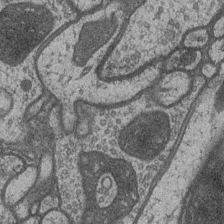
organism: Drosophila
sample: Optic medulla